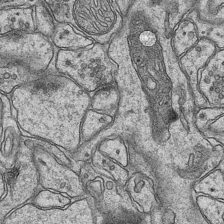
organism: Mouse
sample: CA1 Hippocampus